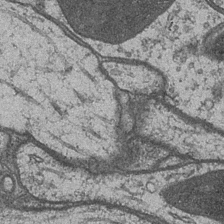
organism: Drosophila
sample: Optic medulla